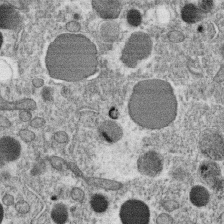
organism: C. elegans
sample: C. elegans oocyte; sperm cells